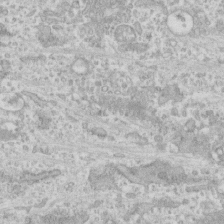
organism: Human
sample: CRL-1474